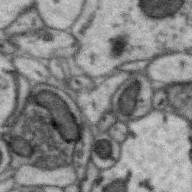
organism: Zebra finch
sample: Brain